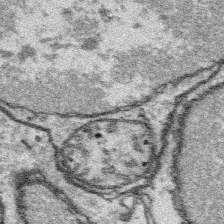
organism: Platynereis dumerilii